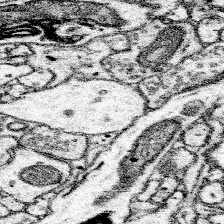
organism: Mouse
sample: Somatosensory cortex neuropil